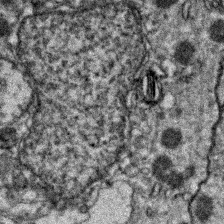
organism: Zebrafish